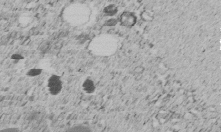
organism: C. elegans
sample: C. elegans embryo early stage